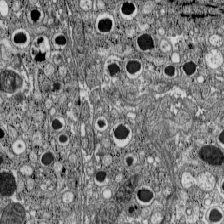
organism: C57BL Mouse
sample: Pancreatic islet